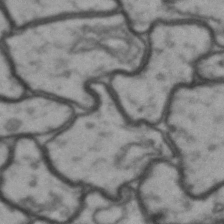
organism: Drosophila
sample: Brain